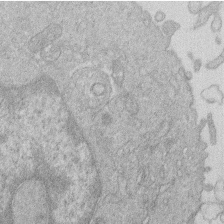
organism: Human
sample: Macrophage cells